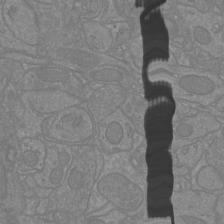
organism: Mouse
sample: Cortical neurons